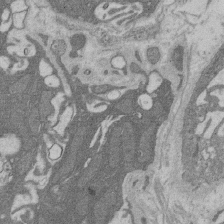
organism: Rat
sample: Salivary granule